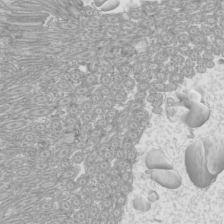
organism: Mouse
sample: Cilia; mouse epididymis